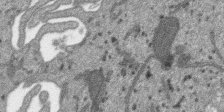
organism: Human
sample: Lung epithelial cells infected with SARS-CoV-2